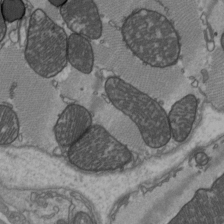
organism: C57BL Mouse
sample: Heart